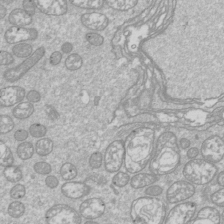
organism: Drosophila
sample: Cell division; meiosis; drosophila spermatocytes